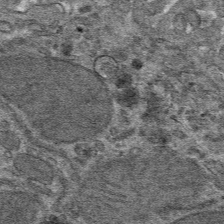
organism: Mouse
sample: Mouse hepatocytes